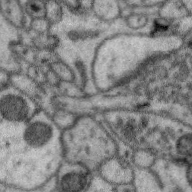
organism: Zebra finch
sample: Brain